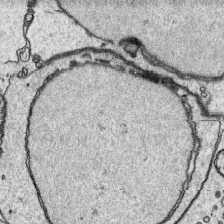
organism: Platynereis dumerilii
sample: Parapodia